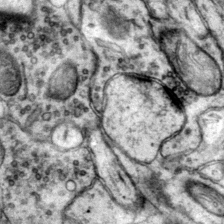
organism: Mouse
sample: Primary visual cortex